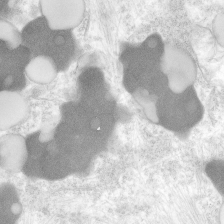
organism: Human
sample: Neocortex